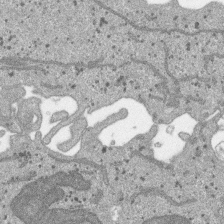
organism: Human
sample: Lung epithelial cells infected with SARS-CoV-2